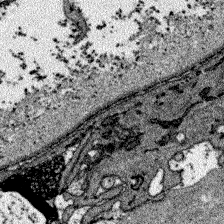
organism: Zebrafish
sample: Larval olfactory bulb